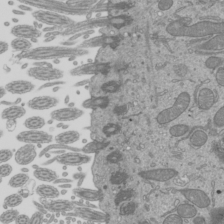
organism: Mouse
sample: Cilia; mouse epididymis